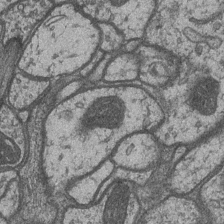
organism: Drosophila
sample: Optic medulla